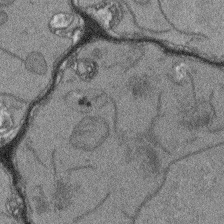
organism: Arabidopsis thaliana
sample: Root tip